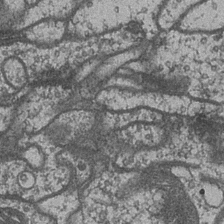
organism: Drosophila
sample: Optic medulla